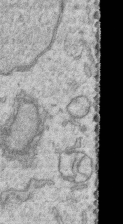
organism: Human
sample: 1205lu cells